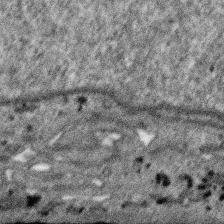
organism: Human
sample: Lung epithelial cells infected with SARS-CoV-2